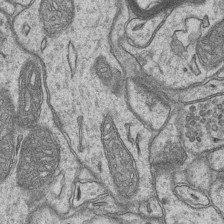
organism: Mouse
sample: CA1 Hippocampus